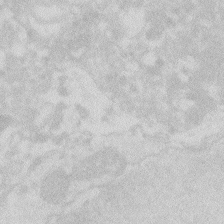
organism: Zebrafish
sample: Macrophage